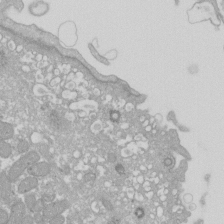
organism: Xenopus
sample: Cilia; centrioles in frog embryo cells